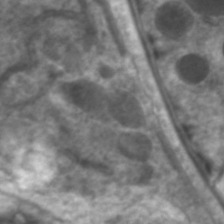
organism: C. elegans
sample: Pharynx